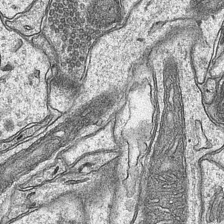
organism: Mouse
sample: CA1 Hippocampus